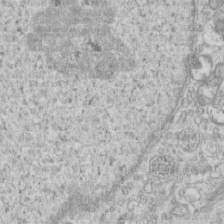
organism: Mouse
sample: Centriole in ependymal cells